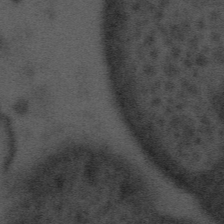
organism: Tuwongella immobilis